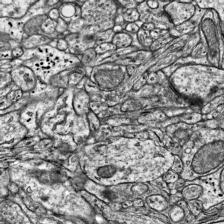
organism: Mouse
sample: Visual Cortex